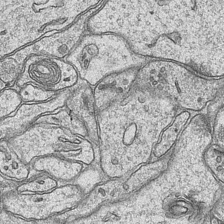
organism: Mouse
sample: CA1 Hippocampus